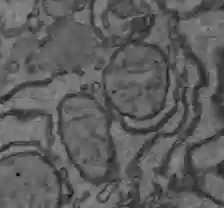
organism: C57BL Mouse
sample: Liver